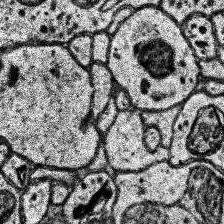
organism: Human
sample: Temporal Lobe